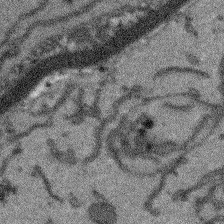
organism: Arabidopsis thaliana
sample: Root tip